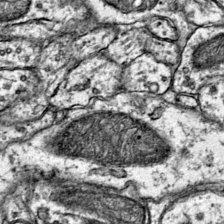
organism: Mouse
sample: Primary visual cortex